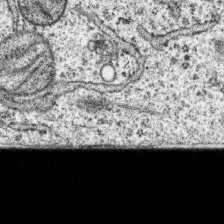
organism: Human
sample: HeLa cells